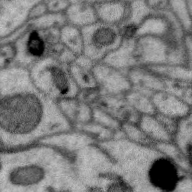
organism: Zebra finch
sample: Brain